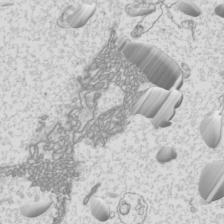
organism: Mouse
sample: Cilia; mouse epididymis